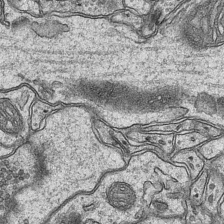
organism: Mouse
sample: CA1 Hippocampus